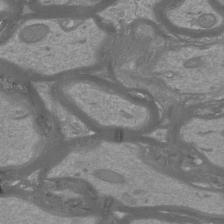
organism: Mouse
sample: Cortical neurons